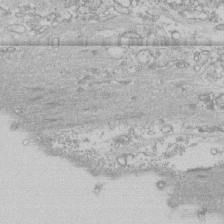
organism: Human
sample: CRL-1474